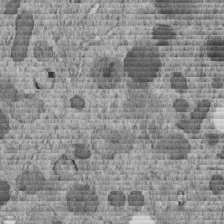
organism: C. elegans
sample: C. elegans embryo early stage